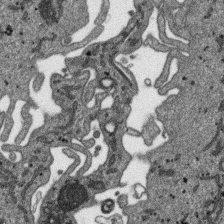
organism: Human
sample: Lung epithelial cells infected with SARS-CoV-2